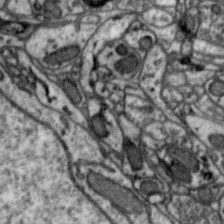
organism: Zebra finch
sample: Brain